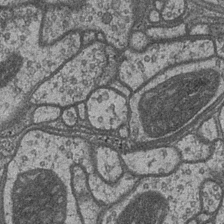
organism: Drosophila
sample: Optic medulla